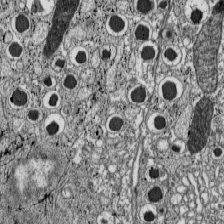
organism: C57BL Mouse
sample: Pancreatic islet